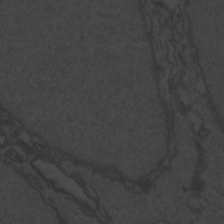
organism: Zebrafish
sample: Macrophage infected with Toxoplasma gondii